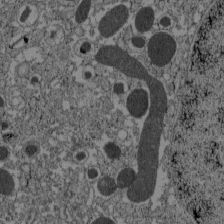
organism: C57BL Mouse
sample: Pancreatic islet